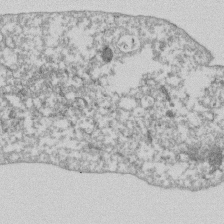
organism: Dictyostelium discoideum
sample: Dictyostelium multivesicular bodies